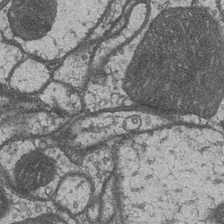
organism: Drosophila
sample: Optic medulla